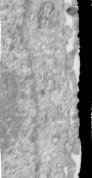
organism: Human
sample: Centriole in RPE cells